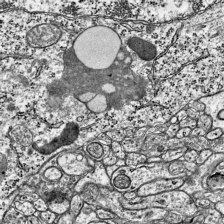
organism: Mouse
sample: Visual Cortex